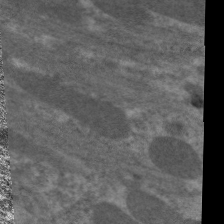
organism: C. elegans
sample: Pharynx